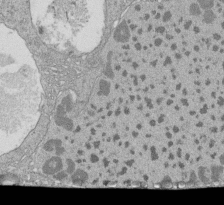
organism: Tetrahymena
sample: Cilia in tetrahymena